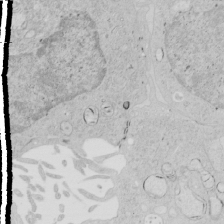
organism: Human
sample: Mitochondria in HCT116 cells